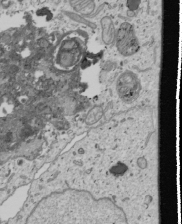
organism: Human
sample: Mitochondria in U2OS cells